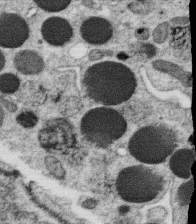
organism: C. elegans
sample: C. elegans oocyte; sperm cells